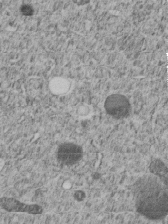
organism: C. elegans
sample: C. elegans embryo early stage